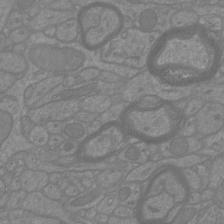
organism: Mouse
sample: Cortical neurons